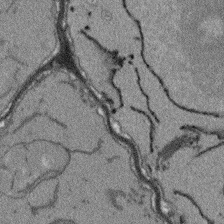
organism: Arabidopsis thaliana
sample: Root tip